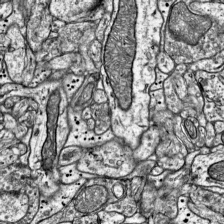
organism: Mouse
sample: Visual Cortex